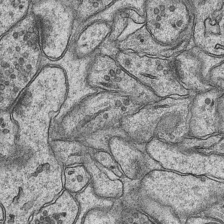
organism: Mouse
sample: CA1 Hippocampus